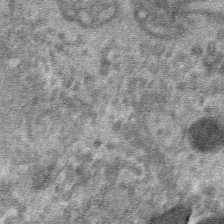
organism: Mouse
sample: Mouse hepatocytes